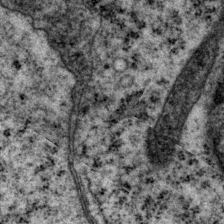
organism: P. pacificus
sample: Pharynx